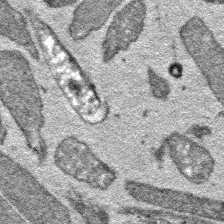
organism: E. coli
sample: E. Coli Bacteria